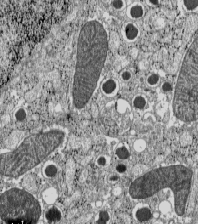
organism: C57BL Mouse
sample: Pancreatic islet